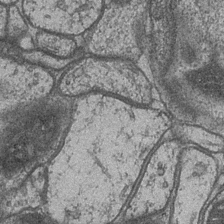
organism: Drosophila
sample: Optic medulla